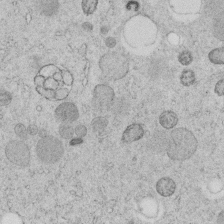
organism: C. elegans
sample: C. elegans embryo early stage